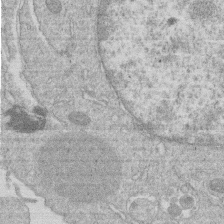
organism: Human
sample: Macrophage cells